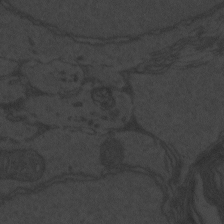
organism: Zebrafish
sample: Macrophage infected with Toxoplasma gondii